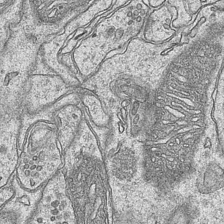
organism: Mouse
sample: CA1 Hippocampus